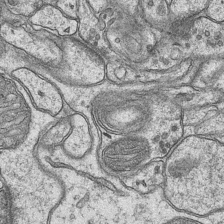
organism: Mouse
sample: CA1 Hippocampus